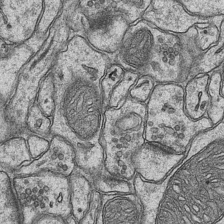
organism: Mouse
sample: CA1 Hippocampus